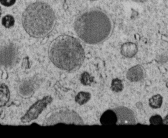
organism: C. elegans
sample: C. elegans embryo early stage